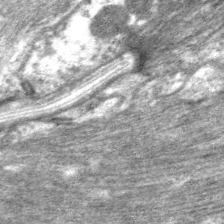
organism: C. elegans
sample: Pharynx